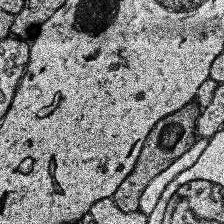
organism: Human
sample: Temporal Lobe